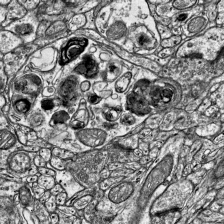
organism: Mouse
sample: Visual Cortex